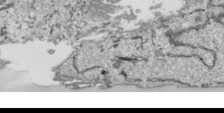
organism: Human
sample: Mitochondria in HCT116 cells